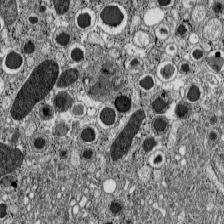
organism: C57BL Mouse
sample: Pancreatic islet